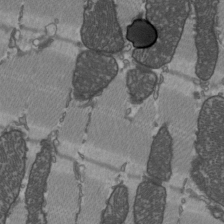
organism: C57BL Mouse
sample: Heart